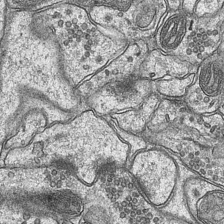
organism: Mouse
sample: CA1 Hippocampus